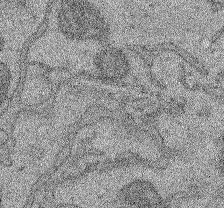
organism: Human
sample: HeLa cells